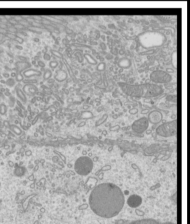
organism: Mouse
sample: Cilia; mouse epididymis